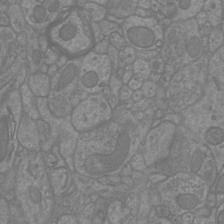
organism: Mouse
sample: Cortical neurons